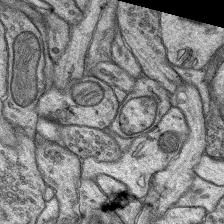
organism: Rat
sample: Hippocampus